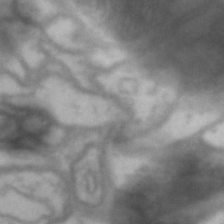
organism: Drosophila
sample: Brain